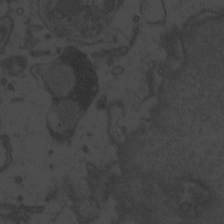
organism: Zebrafish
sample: Macrophage infected with Toxoplasma gondii